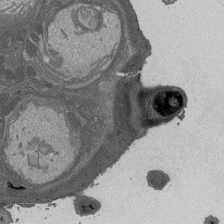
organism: Drosophila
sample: Antenna